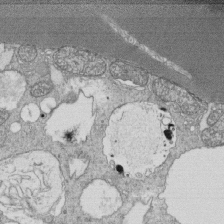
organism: Tetrahymena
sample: Cilia in tetrahymena